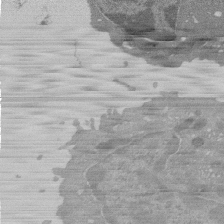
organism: Mouse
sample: Activated Pmel transgenic CD8+ T Cells